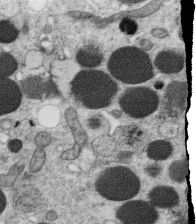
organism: C. elegans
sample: C. elegans oocyte; sperm cells